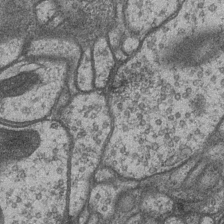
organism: Drosophila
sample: Optic medulla